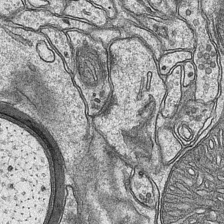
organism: Mouse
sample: CA1 Hippocampus